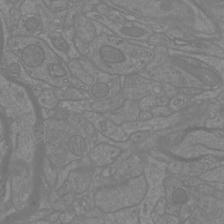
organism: Mouse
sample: Cortical neurons